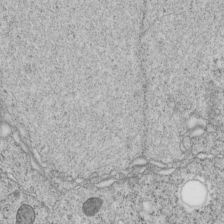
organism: C. elegans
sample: C. elegans embryo early stage